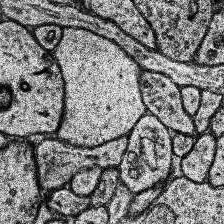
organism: Human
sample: Temporal Lobe